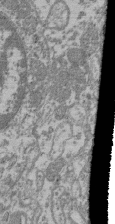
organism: Mouse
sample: Glomerulus